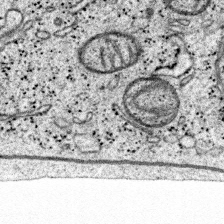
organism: Human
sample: HeLa cells